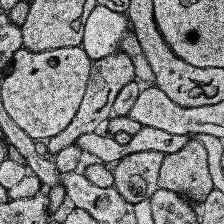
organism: Human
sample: Temporal Lobe